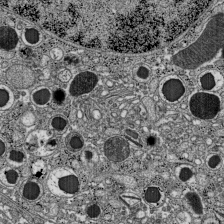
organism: C57BL Mouse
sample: Pancreatic islet